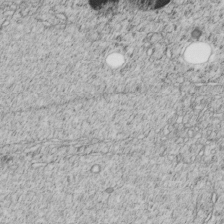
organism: C. elegans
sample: C. elegans embryo early stage